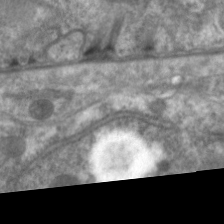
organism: C. elegans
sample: Pharynx